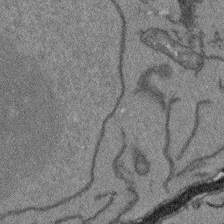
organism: Arabidopsis thaliana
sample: Root tip